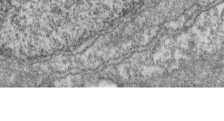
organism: Zebrafish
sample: Cilia; retinal pigment epithelium